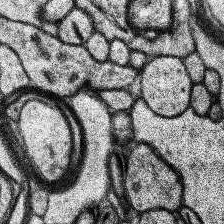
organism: Human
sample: Temporal Lobe